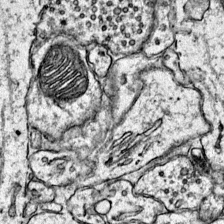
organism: Mouse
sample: Primary visual cortex